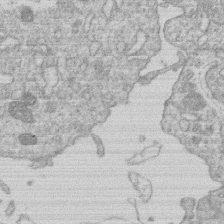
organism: Human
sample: Macrophage cells